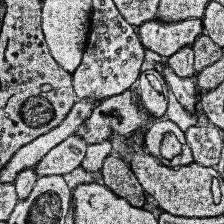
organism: Human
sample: Temporal Lobe